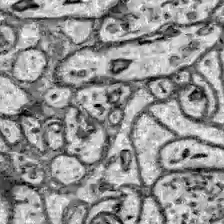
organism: Zebrafish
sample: Brain